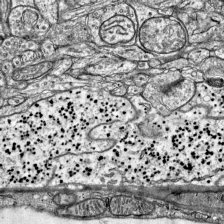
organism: Mouse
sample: Visual Cortex